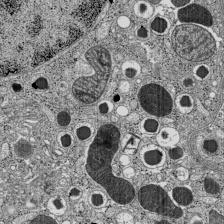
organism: C57BL Mouse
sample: Pancreatic islet